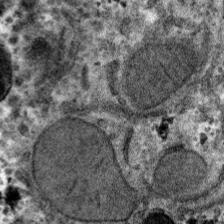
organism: Mouse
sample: Mouse hepatocytes